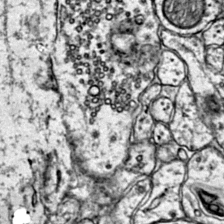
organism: Mouse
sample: Primary visual cortex